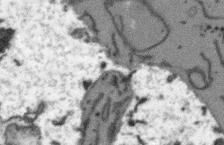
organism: Arabidopsis thaliana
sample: Root tip